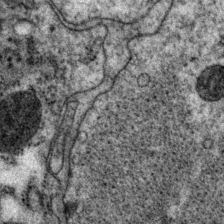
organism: P. pacificus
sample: Pharynx